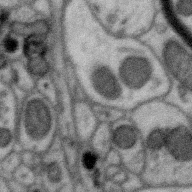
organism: Zebra finch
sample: Brain